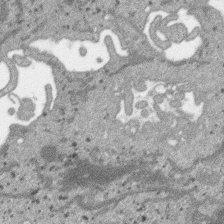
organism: Human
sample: Lung epithelial cells infected with SARS-CoV-2